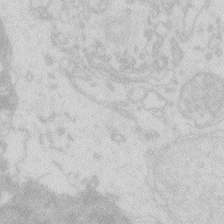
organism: Zebrafish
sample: Macrophage